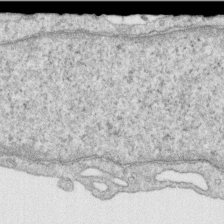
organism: Human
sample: Centriole in RPE cells